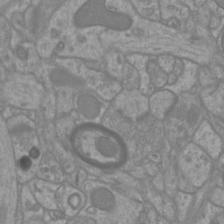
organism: Mouse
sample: Cortical neurons